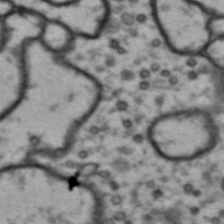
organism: Drosophila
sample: Brain